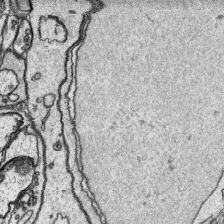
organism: Platynereis dumerilii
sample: Parapodia